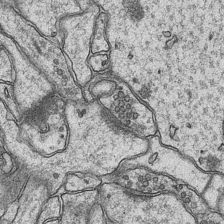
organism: Mouse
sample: CA1 Hippocampus